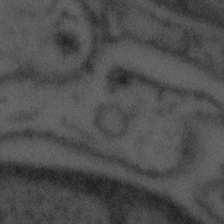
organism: Tuwongella immobilis